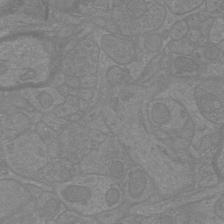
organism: Mouse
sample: Cortical neurons